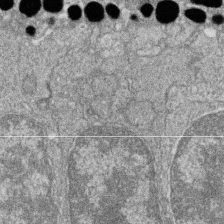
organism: Zebrafish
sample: Cilia; retinal pigment epithelium